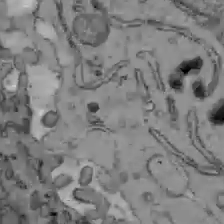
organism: C57BL Mouse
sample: Liver